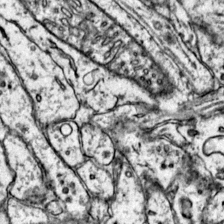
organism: Mouse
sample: Primary visual cortex